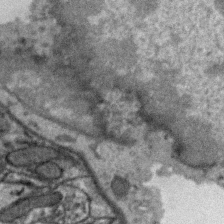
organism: Zebra finch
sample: Brain